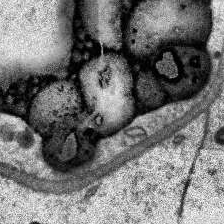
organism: Human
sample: Temporal Lobe